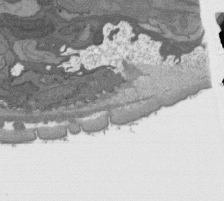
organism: C. elegans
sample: AFD neurons C. elegans